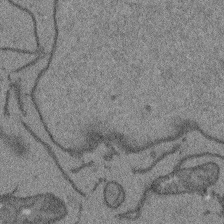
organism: Arabidopsis thaliana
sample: Root tip